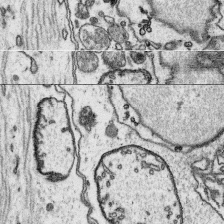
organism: Platynereis dumerilii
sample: Parapodia